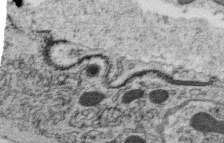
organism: C. elegans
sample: C. elegans oocyte; sperm cells